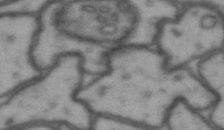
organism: Drosophila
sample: Brain